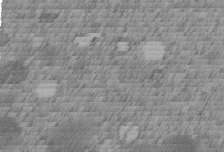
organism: C. elegans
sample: C. elegans embryo early stage